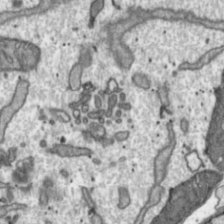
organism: Toxoplasma gondii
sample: Parasites in a vacuole inside a host cell